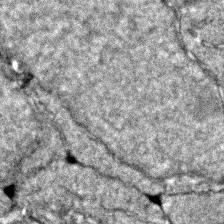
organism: Zebrafish